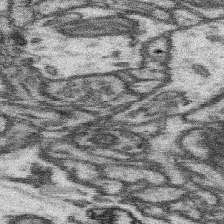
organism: Mouse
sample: Somatosensory cortex neuropil